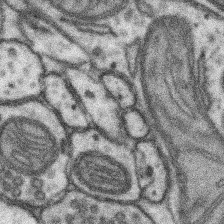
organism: Mouse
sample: Somatosensory cortex neuropil